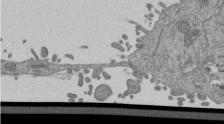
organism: Mouse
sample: ED-1 cell nuclei; centrioles